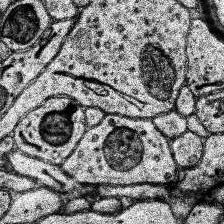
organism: Human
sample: Temporal Lobe